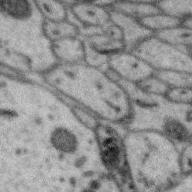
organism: Zebra finch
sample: Brain